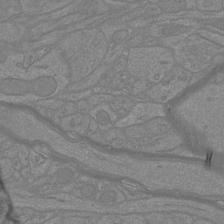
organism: Mouse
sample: Cortical neurons